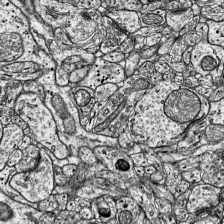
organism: Mouse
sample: Visual Cortex